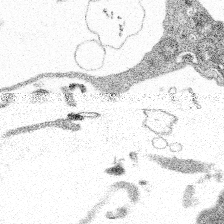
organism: Spongilla lacustris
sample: Multiple